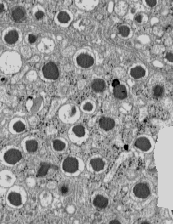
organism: C57BL Mouse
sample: Pancreatic islet